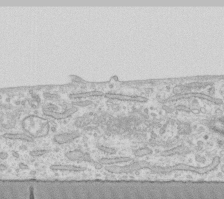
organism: Human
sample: Fibroblast cells